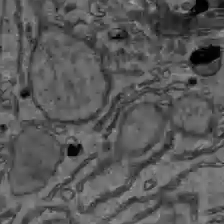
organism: C57BL Mouse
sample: Liver